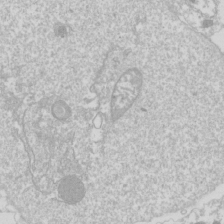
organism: Drosophila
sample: Cell division; meiosis; drosophila spermatocytes